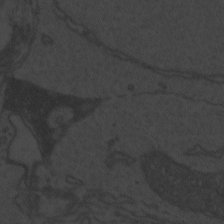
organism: Zebrafish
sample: Macrophage infected with Toxoplasma gondii